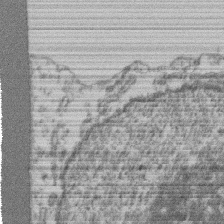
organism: Mouse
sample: T cell stromal cell synapse